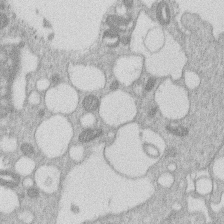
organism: Human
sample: Macrophage cells